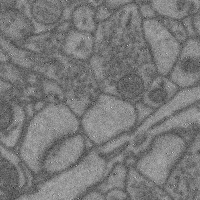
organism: Mouse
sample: Cerebral cortex